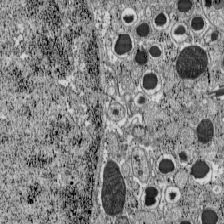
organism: C57BL Mouse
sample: Pancreatic islet